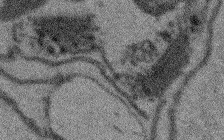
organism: Arabidopsis thaliana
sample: Root tip